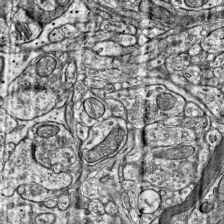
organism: Mouse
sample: Visual Cortex